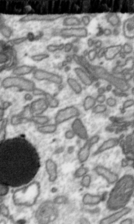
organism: Toxoplasma gondii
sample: Parasites in a vacuole inside a host cell